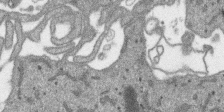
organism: Human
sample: Lung epithelial cells infected with SARS-CoV-2